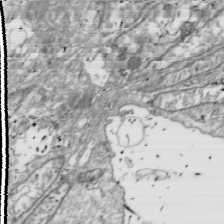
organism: Drosophila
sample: Cell division; meiosis; drosophila spermatocytes